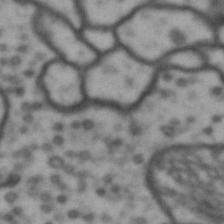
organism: Drosophila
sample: Brain